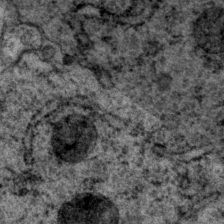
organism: P. pacificus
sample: Pharynx